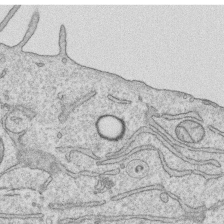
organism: Human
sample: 1205lu cells